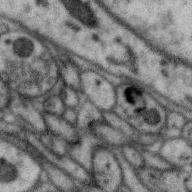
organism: Zebra finch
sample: Brain